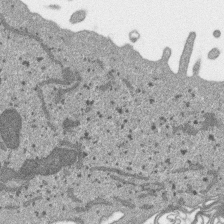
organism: Human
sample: Lung epithelial cells infected with SARS-CoV-2